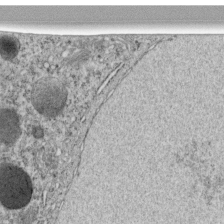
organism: C. elegans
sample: C. elegans embryo early stage